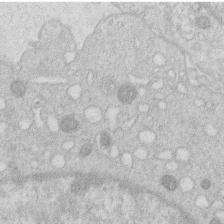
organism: Human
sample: Macrophage cells